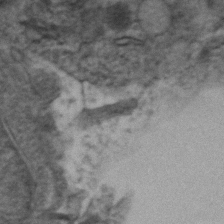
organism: Zebrafish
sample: Zebrafish embryo